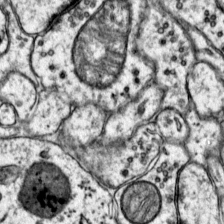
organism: Mouse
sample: Primary visual cortex